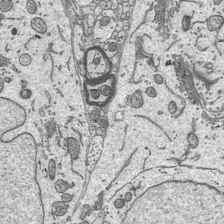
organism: Mouse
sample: Suprachiasmatic nucleus